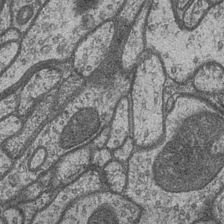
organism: Drosophila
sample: Optic medulla